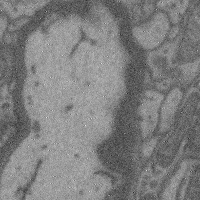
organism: Mouse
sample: Cerebral cortex